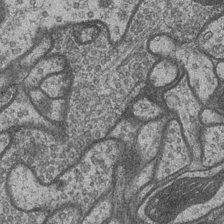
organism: Drosophila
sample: Optic medulla